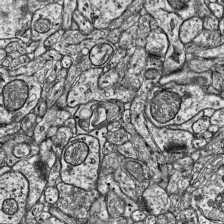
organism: Mouse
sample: Visual Cortex